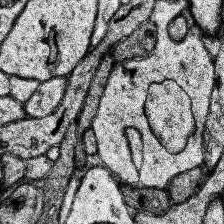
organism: Human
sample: Temporal Lobe